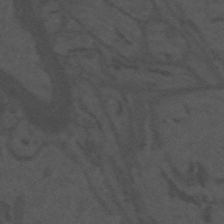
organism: Mouse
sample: Suprachiasmatic nucleus